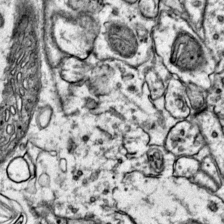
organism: Mouse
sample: Primary visual cortex